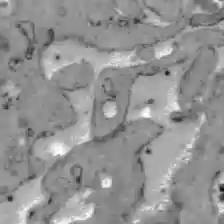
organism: C57BL Mouse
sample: Liver